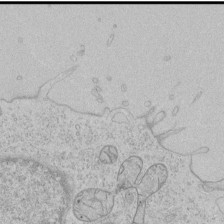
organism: Human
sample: Mitochondria in HCT116 cells